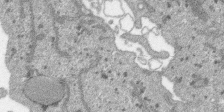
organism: Human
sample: Lung epithelial cells infected with SARS-CoV-2